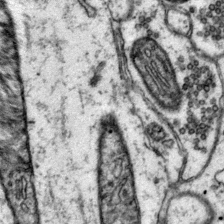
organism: Mouse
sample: Primary visual cortex